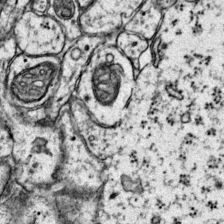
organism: Mouse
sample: Primary visual cortex